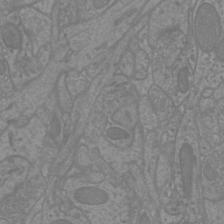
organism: Mouse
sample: Cortical neurons